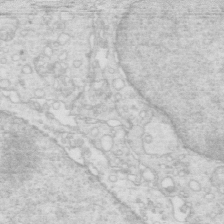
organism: Mouse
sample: Multiciliated cells